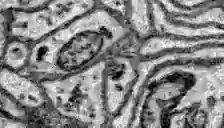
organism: Zebrafish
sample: Brain